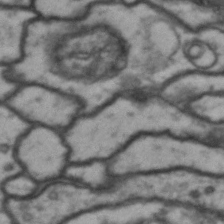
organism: Drosophila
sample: Brain